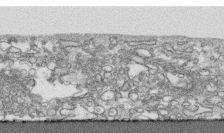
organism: Human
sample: CRL-1474